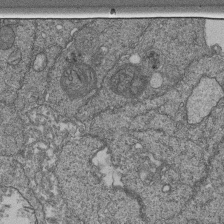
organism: Human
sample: Retinal organoid Rod and Cone cells